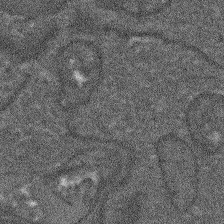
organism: Arabidopsis thaliana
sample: Root tip